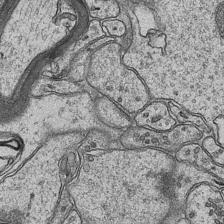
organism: Mouse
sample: CA1 Hippocampus